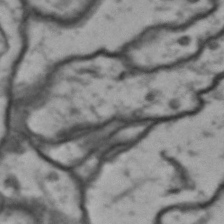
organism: Drosophila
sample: Brain